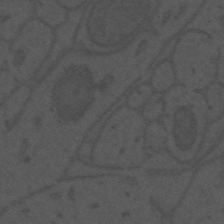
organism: Mouse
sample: Suprachiasmatic nucleus